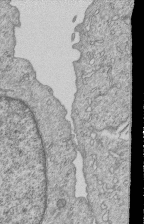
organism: Human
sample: MDA-MB-231 cells